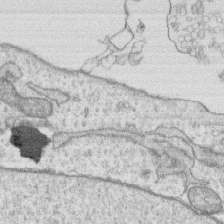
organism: Human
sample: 1205lu cells